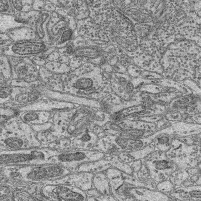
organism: Mouse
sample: Retina